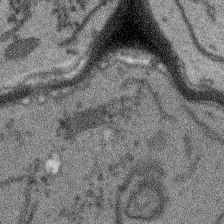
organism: Arabidopsis thaliana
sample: Root tip